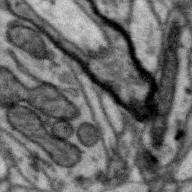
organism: Zebra finch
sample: Brain